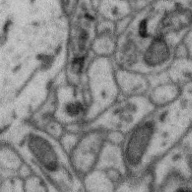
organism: Zebra finch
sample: Brain